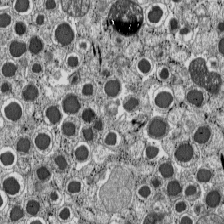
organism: C57BL Mouse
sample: Pancreatic islet